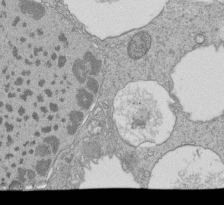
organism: Tetrahymena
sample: Cilia in tetrahymena